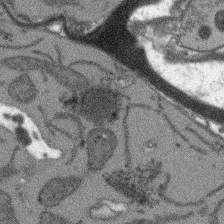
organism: Arabidopsis thaliana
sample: Root tip